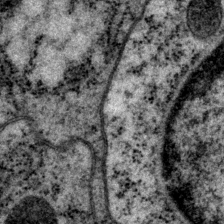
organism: P. pacificus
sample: Pharynx